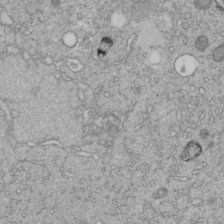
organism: C. elegans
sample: C. elegans embryo early stage